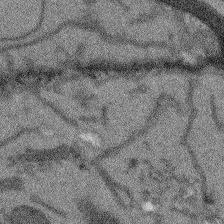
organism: Arabidopsis thaliana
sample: Root tip